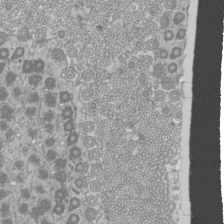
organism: Mouse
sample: Cilia; mouse epididymis